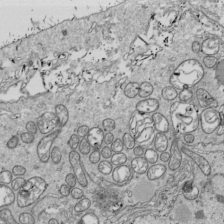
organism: Drosophila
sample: Cell division; meiosis; drosophila spermatocytes